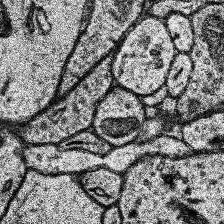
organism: Human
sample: Temporal Lobe